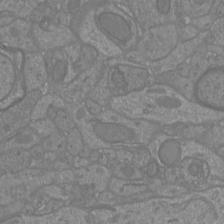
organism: Mouse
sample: Cortical neurons